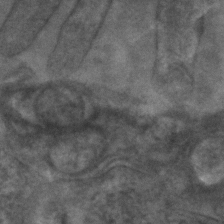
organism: C. elegans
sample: C. elegans embryo